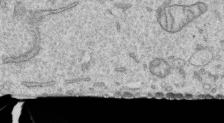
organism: Human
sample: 1205lu cells